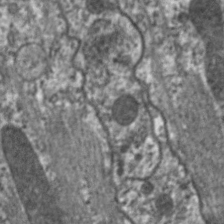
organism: C. elegans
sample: Pharynx